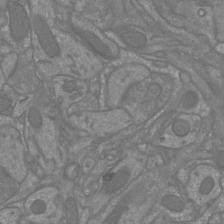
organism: Mouse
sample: Cortical neurons